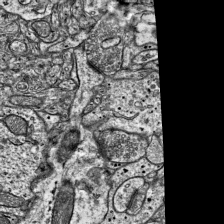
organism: Mouse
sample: Visual Cortex